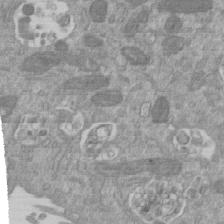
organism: Mouse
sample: ED-1 cell nuclei; centrioles